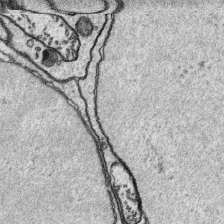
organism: Platynereis dumerilii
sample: Parapodia